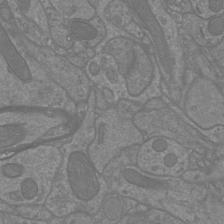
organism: Mouse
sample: Cortical neurons